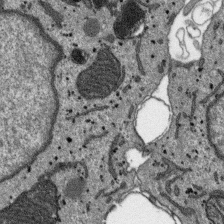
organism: Human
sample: Lung epithelial cells, uninfected (mock) control